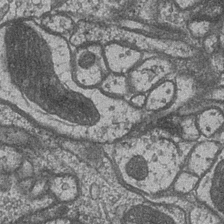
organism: Drosophila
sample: Optic medulla